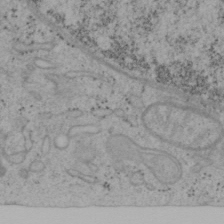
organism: Human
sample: HeLa cells